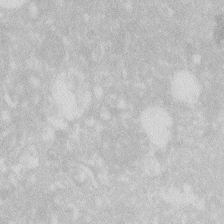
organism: Zebrafish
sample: Macrophage